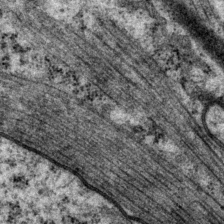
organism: P. pacificus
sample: Pharynx